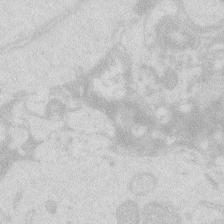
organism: Zebrafish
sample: Macrophage